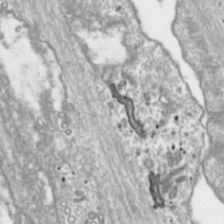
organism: Toxoplasma gondii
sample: Parasites in a vacuole inside a host cell